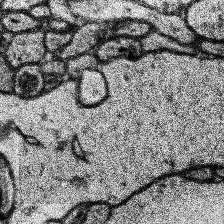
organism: Human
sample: Temporal Lobe